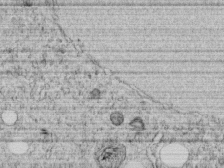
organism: C. elegans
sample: C. elegans embryo early stage